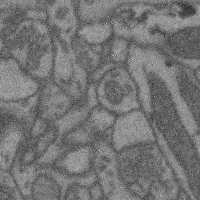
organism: Mouse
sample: Cerebral cortex